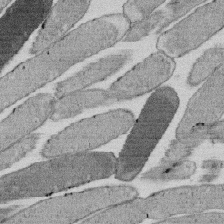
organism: E. coli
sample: Bacterial nucleoid